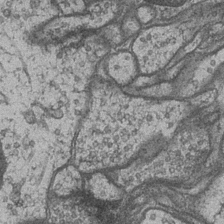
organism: Drosophila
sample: Optic medulla